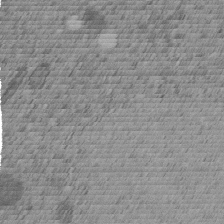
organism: C. elegans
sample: C. elegans embryo early stage